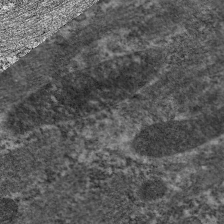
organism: C. elegans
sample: Pharynx